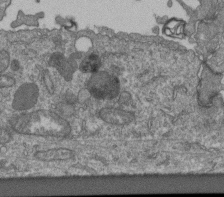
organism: Human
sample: Retinal organoid Rod and Cone cells